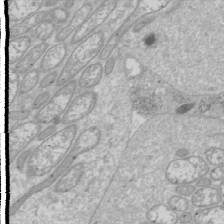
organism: Drosophila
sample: Cell division; meiosis; drosophila spermatocytes